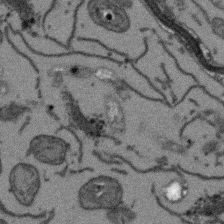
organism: Arabidopsis thaliana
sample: Root tip